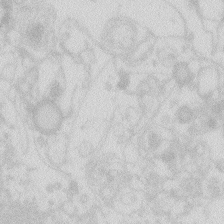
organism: Zebrafish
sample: Macrophage